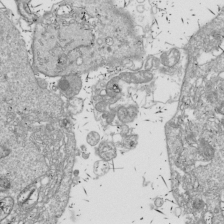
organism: Drosophila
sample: Cell division; meiosis; drosophila spermatocytes